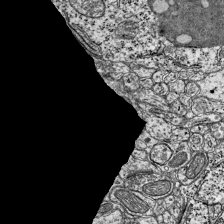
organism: Mouse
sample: Visual Cortex